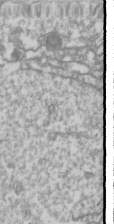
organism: Drosophila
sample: Cell division; meiosis; drosophila spermatocytes